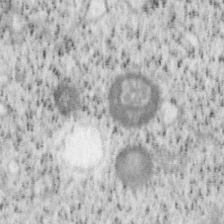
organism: Mouse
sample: OT-I killer T cells with ID8 ovarian cancer cells